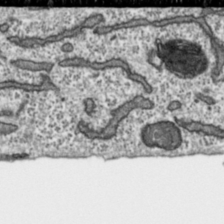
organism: Toxoplasma gondii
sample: Parasites in a vacuole inside a host cell